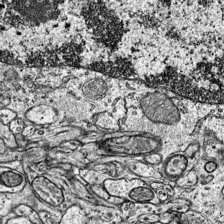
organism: Mouse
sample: Visual Cortex